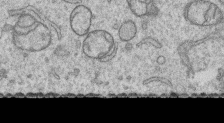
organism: Human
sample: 1205lu cells